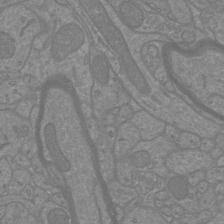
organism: Mouse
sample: Cortical neurons